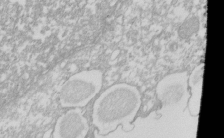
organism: Xenopus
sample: Cilia; centrioles in frog embryo cells